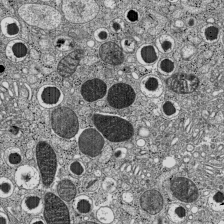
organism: C57BL Mouse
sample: Pancreatic islet